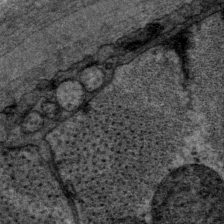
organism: P. pacificus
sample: Pharynx